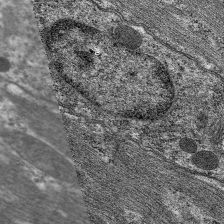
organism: C. elegans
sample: Pharynx